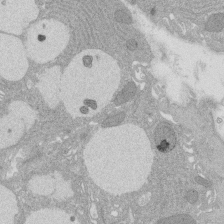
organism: Rat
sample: Salivary granule